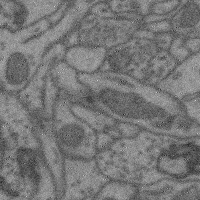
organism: Mouse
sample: Cerebral cortex